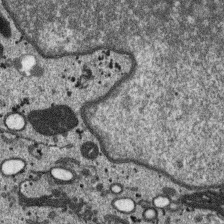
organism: Human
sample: Lung epithelial cells infected with SARS-CoV-2